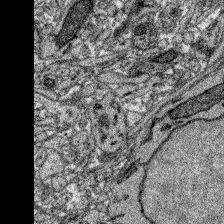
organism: Zebrafish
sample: Larval olfactory bulb